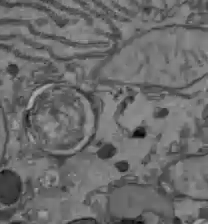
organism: C57BL Mouse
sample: Liver